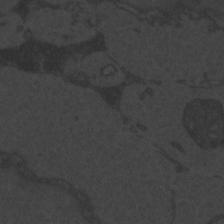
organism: Zebrafish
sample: Macrophage infected with Toxoplasma gondii